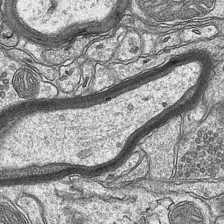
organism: Mouse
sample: CA1 Hippocampus